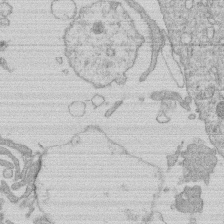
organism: Human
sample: Macrophage cells